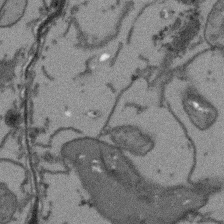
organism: Arabidopsis thaliana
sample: Root tip